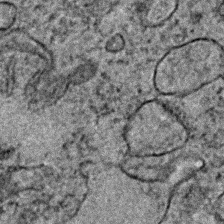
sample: Trachea